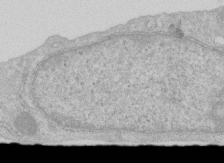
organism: Human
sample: Centriole in RPE cells